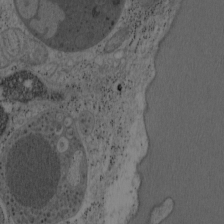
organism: Mouse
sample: OT-I killer T cells with ID8 ovarian cancer cells